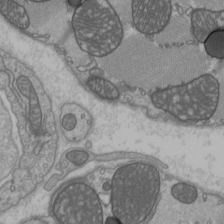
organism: C57BL Mouse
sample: Heart